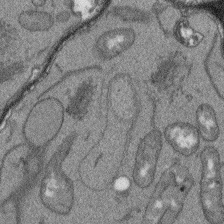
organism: Arabidopsis thaliana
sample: Root tip